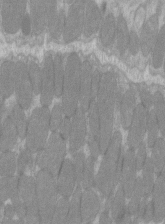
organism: C57BL Mouse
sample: Tibialis anterior muscle cell